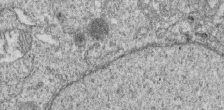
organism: Human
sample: HeLa cell HIV synapse